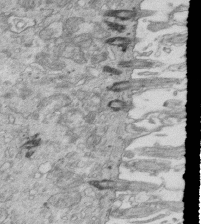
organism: Mouse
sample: Multiciliated cells